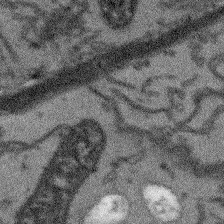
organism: Arabidopsis thaliana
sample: Root tip